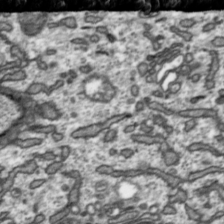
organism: Toxoplasma gondii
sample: Parasites in a vacuole inside a host cell